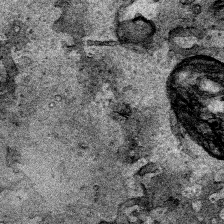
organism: Human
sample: Mitochondria in HCT116 cells